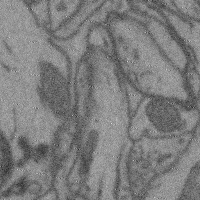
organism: Mouse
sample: Cerebral cortex